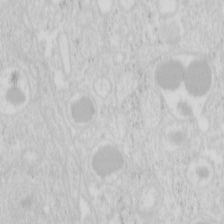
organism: Mouse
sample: Pancreas